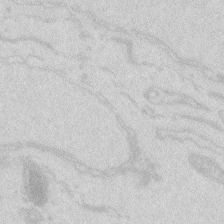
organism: Zebrafish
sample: Macrophage